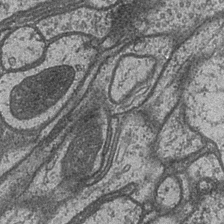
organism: Drosophila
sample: Optic medulla